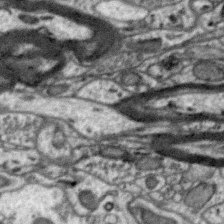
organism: Zebra finch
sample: Brain